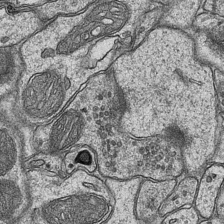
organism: Mouse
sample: CA1 Hippocampus